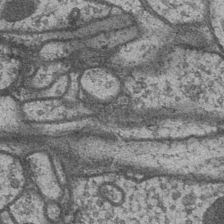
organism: Drosophila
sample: Optic medulla